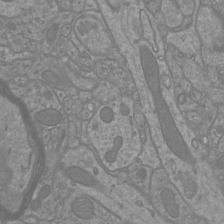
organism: Mouse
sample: Cortical neurons